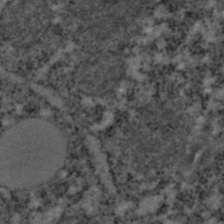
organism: C. elegans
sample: C. elegans embryo